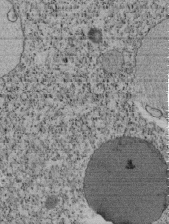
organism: Tetrahymena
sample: Cilia in tetrahymena